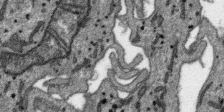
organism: Human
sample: Lung epithelial cells, uninfected (mock) control